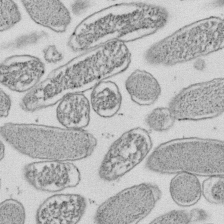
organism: E. coli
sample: Bacterial nucleoid